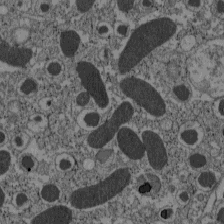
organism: C57BL Mouse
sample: Pancreatic islet